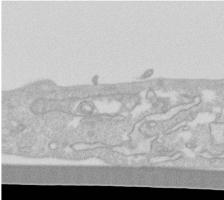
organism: Human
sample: Fibroblast cells